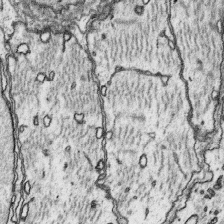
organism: Platynereis dumerilii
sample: Parapodia